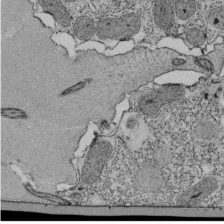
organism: Tetrahymena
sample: Cilia in tetrahymena